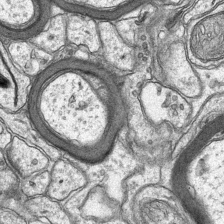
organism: Mouse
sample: CA1 Hippocampus